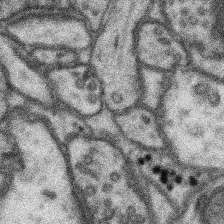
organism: Mouse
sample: Somatosensory cortex neuropil